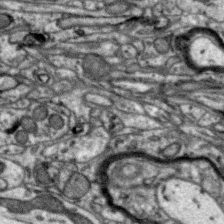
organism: Zebra finch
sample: Brain